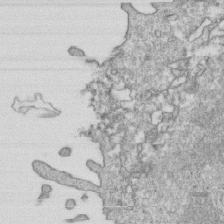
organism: Mouse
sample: Activated OT-1 CD8+ T cells